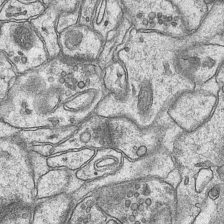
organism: Mouse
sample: CA1 Hippocampus